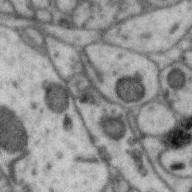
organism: Zebra finch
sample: Brain